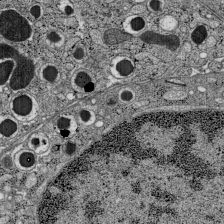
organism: C57BL Mouse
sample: Pancreatic islet